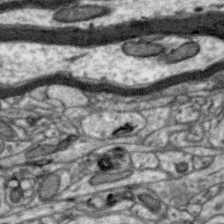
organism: Zebra finch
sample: Brain